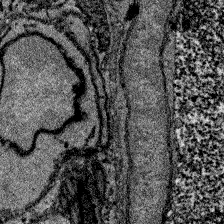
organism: Zebrafish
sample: Larval olfactory bulb